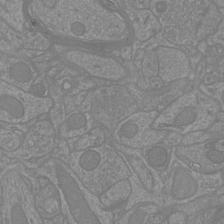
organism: Mouse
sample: Cortical neurons